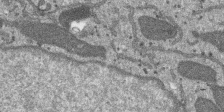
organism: Human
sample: Lung epithelial cells infected with SARS-CoV-2